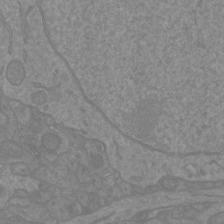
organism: Mouse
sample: Cortical neurons